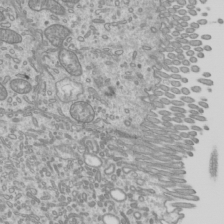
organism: Mouse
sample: Cilia; mouse epididymis